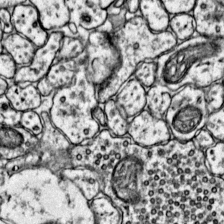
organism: Mouse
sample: Primary visual cortex